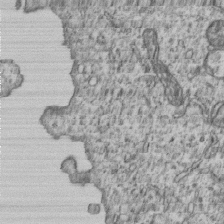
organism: Human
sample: MDA-MB-231 cells